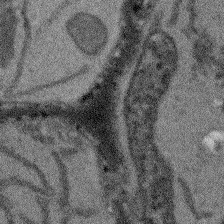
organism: Arabidopsis thaliana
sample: Root tip